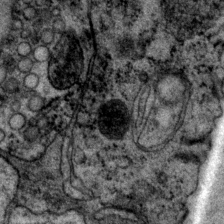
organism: P. pacificus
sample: Pharynx